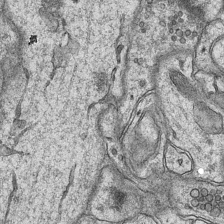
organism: Mouse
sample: CA1 Hippocampus